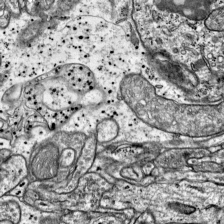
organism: Mouse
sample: Visual Cortex